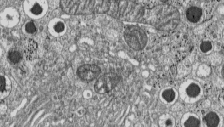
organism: C57BL Mouse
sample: Pancreatic islet